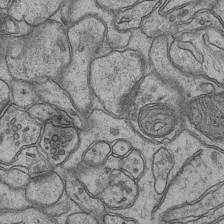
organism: Mouse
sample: CA1 Hippocampus